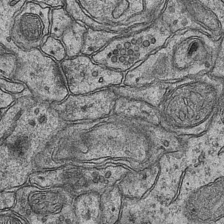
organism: Mouse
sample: CA1 Hippocampus